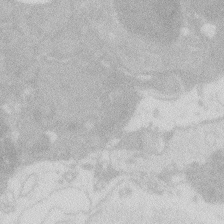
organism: Zebrafish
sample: Macrophage